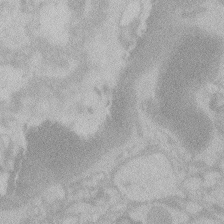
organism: Zebrafish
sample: Macrophage infected with Toxoplasma gondii